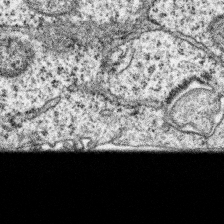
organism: Human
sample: HeLa cells